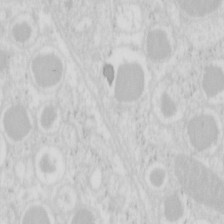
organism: Mouse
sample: Pancreas